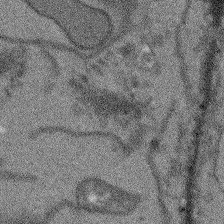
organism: Arabidopsis thaliana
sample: Root tip